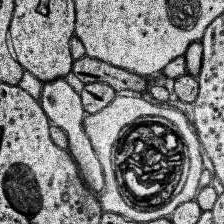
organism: Human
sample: Temporal Lobe